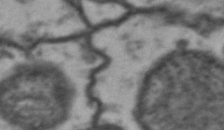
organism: Drosophila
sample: Brain